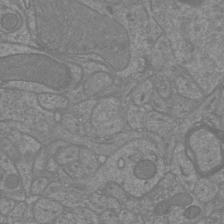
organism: Mouse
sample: Cortical neurons